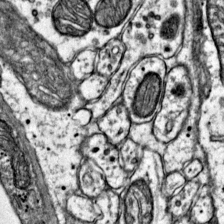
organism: Mouse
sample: Primary visual cortex